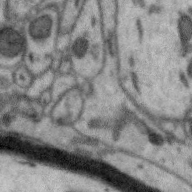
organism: Zebra finch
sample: Brain